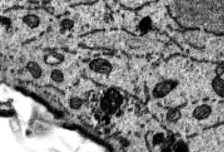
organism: Human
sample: HeLa cells